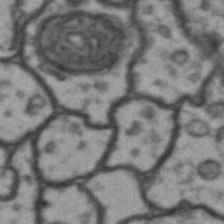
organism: Drosophila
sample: Brain